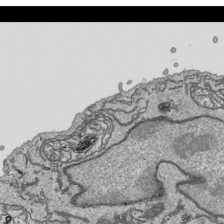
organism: Human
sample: Mitochondria in HCT116 cells